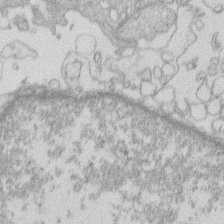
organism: Human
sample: Macrophage cells